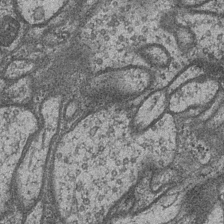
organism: Drosophila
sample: Optic medulla